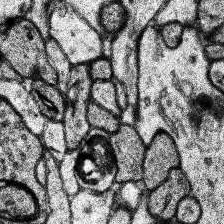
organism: Human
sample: Temporal Lobe